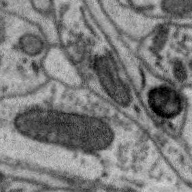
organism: Zebra finch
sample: Brain